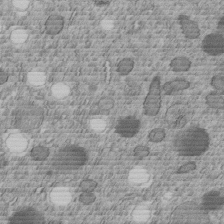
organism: C. elegans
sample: C. elegans embryo early stage